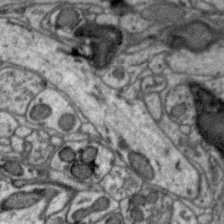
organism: Zebra finch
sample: Brain